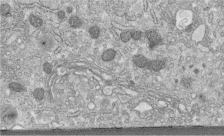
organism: Human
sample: Centriole in fibroblast cells